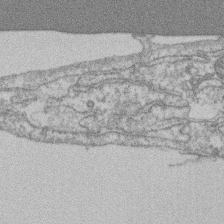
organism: Mouse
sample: T cell stromal cell synapse